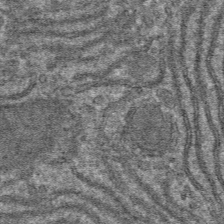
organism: Mouse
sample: Mouse hepatocytes